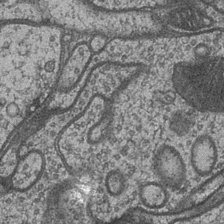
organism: Drosophila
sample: Optic medulla